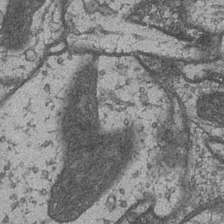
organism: Drosophila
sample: Optic medulla